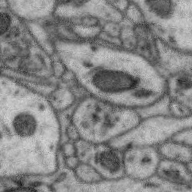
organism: Zebra finch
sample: Brain